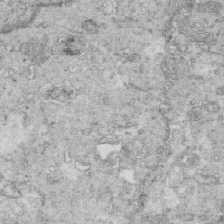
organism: Mouse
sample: Multiciliated cells